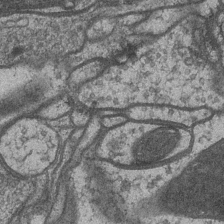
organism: Drosophila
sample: Optic medulla